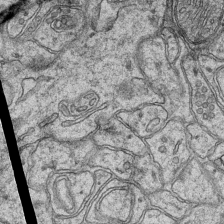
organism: Mouse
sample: CA1 Hippocampus